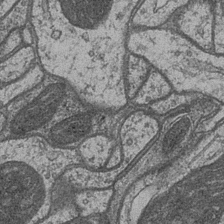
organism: Drosophila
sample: Optic medulla